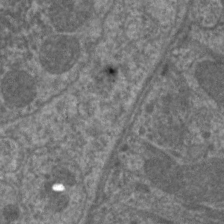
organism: C. elegans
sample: Pharynx